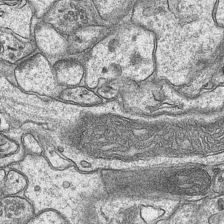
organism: Mouse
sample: CA1 Hippocampus